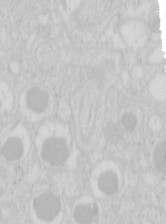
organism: Mouse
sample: Pancreas